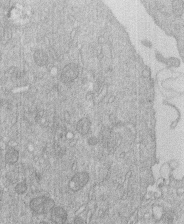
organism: Human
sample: Macrophage cells